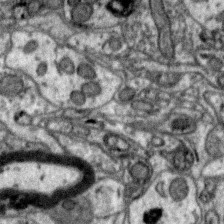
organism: Zebra finch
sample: Brain